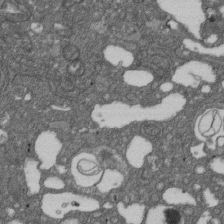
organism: Drosophila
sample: Nephrocyte